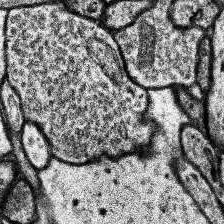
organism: Human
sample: Temporal Lobe